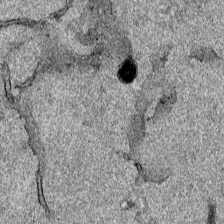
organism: Human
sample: Mitochondria in HCT116 cells